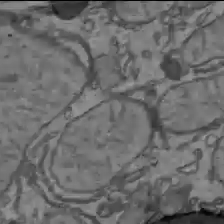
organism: C57BL Mouse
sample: Liver